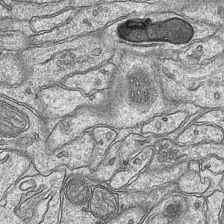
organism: Mouse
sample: CA1 Hippocampus